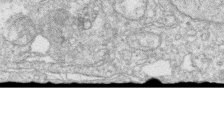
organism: Human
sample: HeLa cell HIV synapse